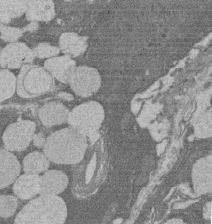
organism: Rat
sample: Salivary granule